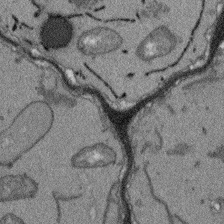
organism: Arabidopsis thaliana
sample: Root tip